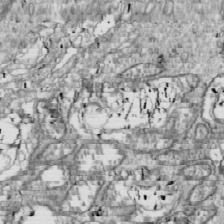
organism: Drosophila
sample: Cell division; meiosis; drosophila spermatocytes